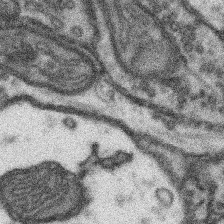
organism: Mouse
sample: Somatosensory cortex neuropil